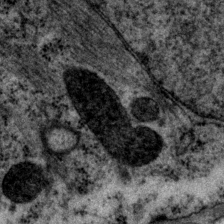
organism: P. pacificus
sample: Pharynx